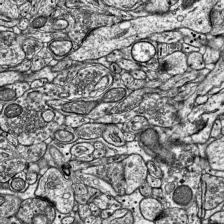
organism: Mouse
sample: Visual Cortex